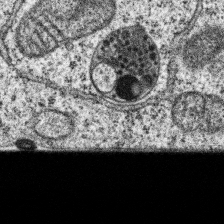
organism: Human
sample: HeLa cells